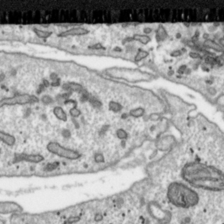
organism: Toxoplasma gondii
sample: Parasites in a vacuole inside a host cell